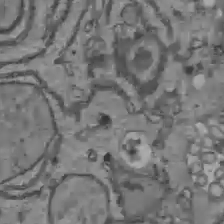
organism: C57BL Mouse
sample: Liver